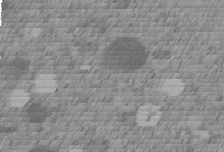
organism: C. elegans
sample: C. elegans embryo early stage